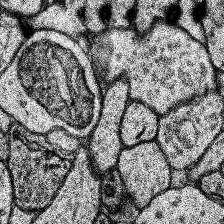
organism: Human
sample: Temporal Lobe